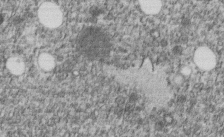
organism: C. elegans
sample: C. elegans embryo early stage